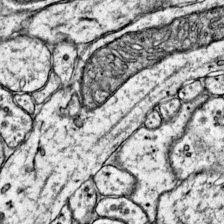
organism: Mouse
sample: Primary visual cortex